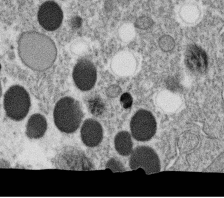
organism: C. elegans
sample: C. elegans oocyte; sperm cells